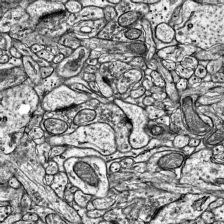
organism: Mouse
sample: Visual Cortex